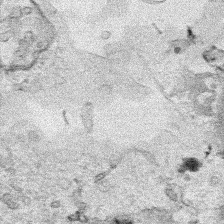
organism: Human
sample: Mitochondria in HCT116 cells